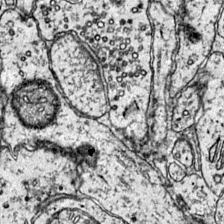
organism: Mouse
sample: Primary visual cortex